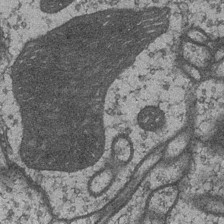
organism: Drosophila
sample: Optic medulla